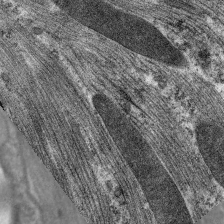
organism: C. elegans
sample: Pharynx